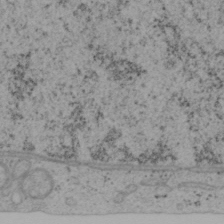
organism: Human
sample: HeLa cells